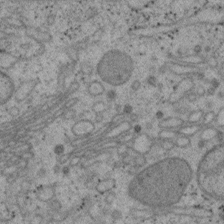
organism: Human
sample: HeLa cells